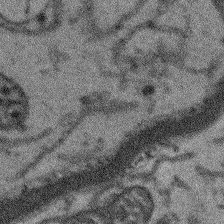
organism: Arabidopsis thaliana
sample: Root tip